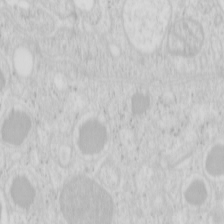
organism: Mouse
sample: Pancreas